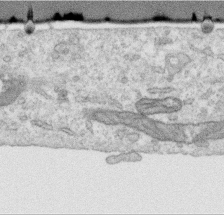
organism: Human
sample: Centriole in RPE cells